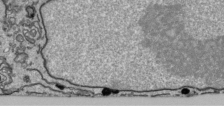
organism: Human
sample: Mitochondria in HCT116 cells